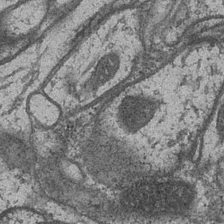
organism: Drosophila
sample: Optic medulla